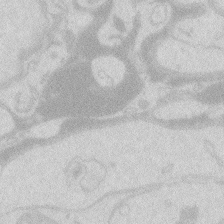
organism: Zebrafish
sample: Macrophage